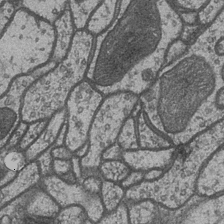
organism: Drosophila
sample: Optic medulla